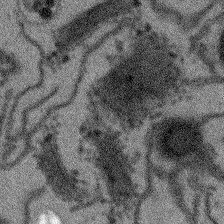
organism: Arabidopsis thaliana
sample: Root tip